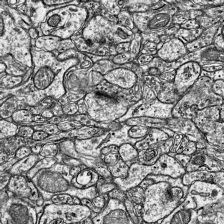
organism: Mouse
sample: Visual Cortex